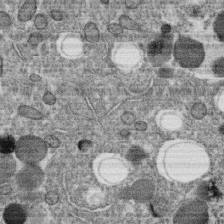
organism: C. elegans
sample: C. elegans oocyte; sperm cells